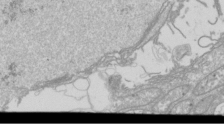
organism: Drosophila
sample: Cell division; meiosis; drosophila spermatocytes